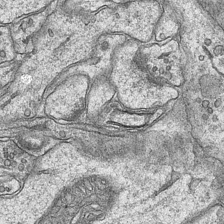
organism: Mouse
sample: CA1 Hippocampus